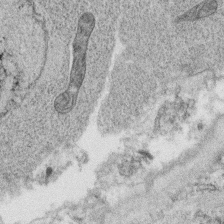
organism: C. elegans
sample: C. elegans oocyte; sperm cells